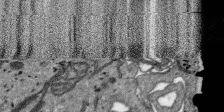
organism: Human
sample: Lung epithelial cells, uninfected (mock) control